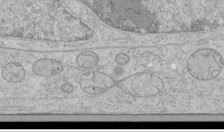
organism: Human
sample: Mitochondria in HCT116 cells